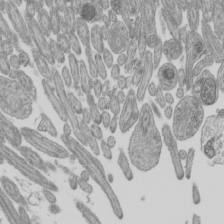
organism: Mouse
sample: Cilia; mouse epididymis